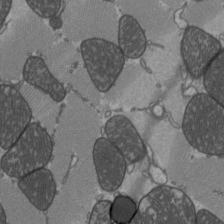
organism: C57BL Mouse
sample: Heart